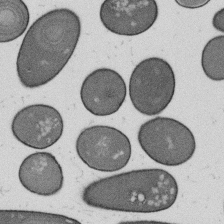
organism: B. subtilis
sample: Bacterial spore